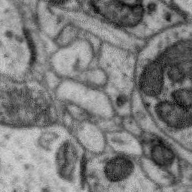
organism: Zebra finch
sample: Brain